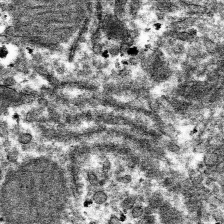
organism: Mouse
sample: Mouse hepatocytes